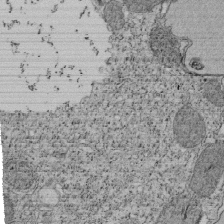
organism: Tetrahymena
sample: Cilia in tetrahymena